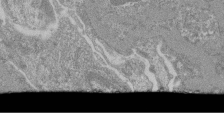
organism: Mouse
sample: Glomerulus